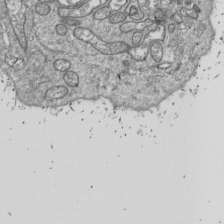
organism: Drosophila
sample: Cell division; meiosis; drosophila spermatocytes